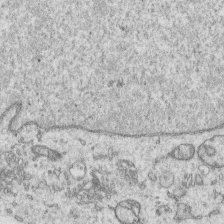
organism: Human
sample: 1205lu cells